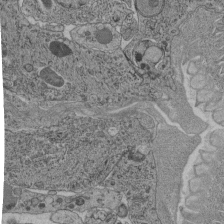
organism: C. elegans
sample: C. elegans pharynx